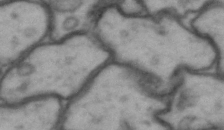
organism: Drosophila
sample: Brain